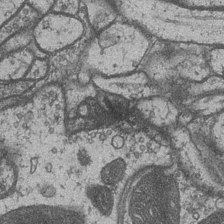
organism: Drosophila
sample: Optic medulla